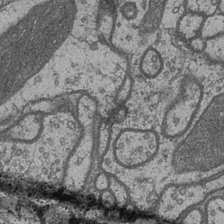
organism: Drosophila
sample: Optic medulla